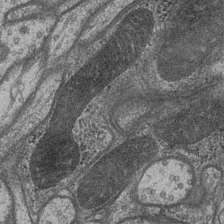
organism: Drosophila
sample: Optic medulla